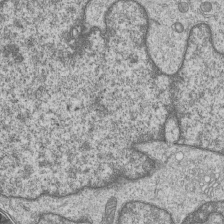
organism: Human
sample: MDA-MB-231 cells